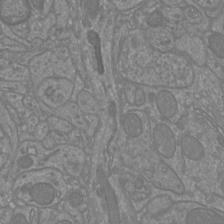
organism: Mouse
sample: Cortical neurons